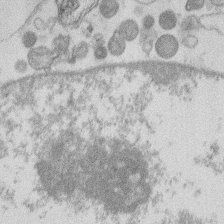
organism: Human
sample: Macrophage cells